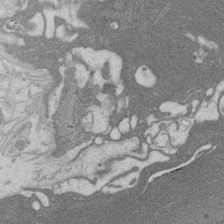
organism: Rat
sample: Salivary granule